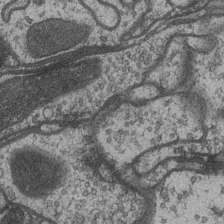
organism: Drosophila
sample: Optic medulla